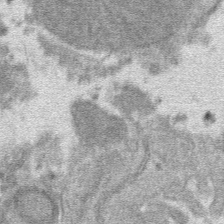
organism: Mouse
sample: Mouse hepatocytes